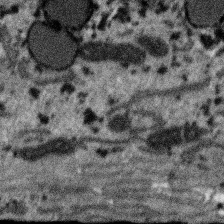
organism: Human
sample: Lung epithelial cells infected with SARS-CoV-2